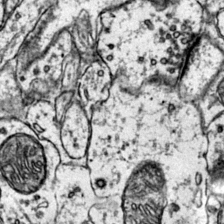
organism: Mouse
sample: Primary visual cortex